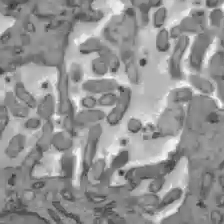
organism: C57BL Mouse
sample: Liver